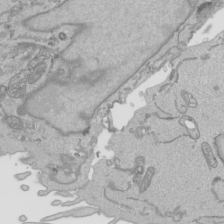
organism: Human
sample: Mitochondria in HCT116 cells